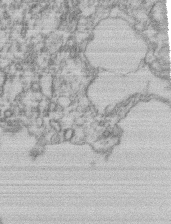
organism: Mouse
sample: T cell stromal cell synapse